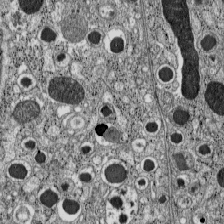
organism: C57BL Mouse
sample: Pancreatic islet